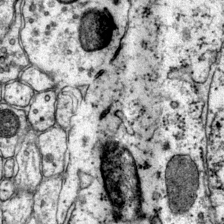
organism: Mouse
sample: Primary visual cortex